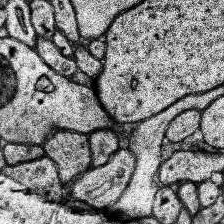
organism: Human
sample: Temporal Lobe